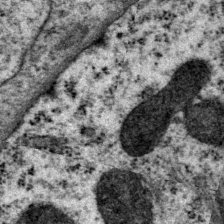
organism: P. pacificus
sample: Pharynx